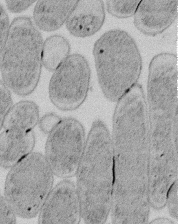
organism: E. coli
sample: Bacterial nucleoid